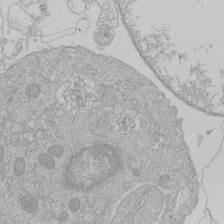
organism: Human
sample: Macrophage cells